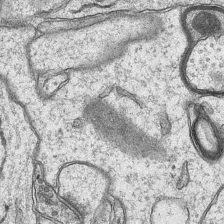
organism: Mouse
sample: CA1 Hippocampus